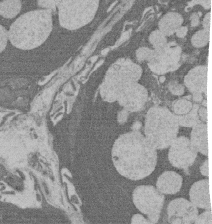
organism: Rat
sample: Salivary granule